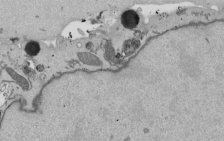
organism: Mouse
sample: ED-1 cell nuclei; centrioles